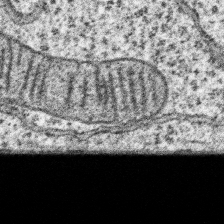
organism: Human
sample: HeLa cells